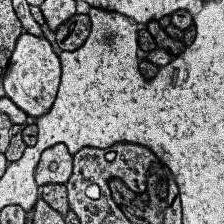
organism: Human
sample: Temporal Lobe